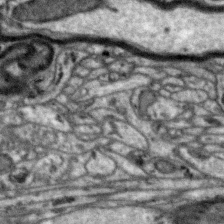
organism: Zebra finch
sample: Brain